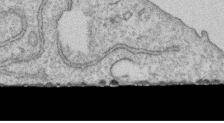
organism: Human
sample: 1205lu cells